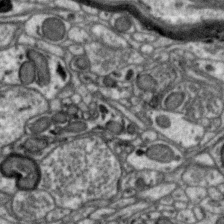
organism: Zebra finch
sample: Brain